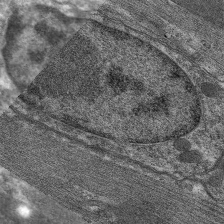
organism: C. elegans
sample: Pharynx